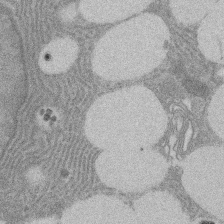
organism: Rat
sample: Salivary granule